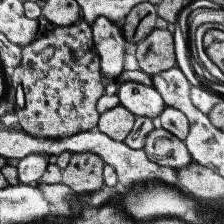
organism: Human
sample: Temporal Lobe